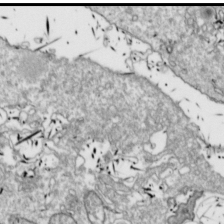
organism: Drosophila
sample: Cell division; meiosis; drosophila spermatocytes